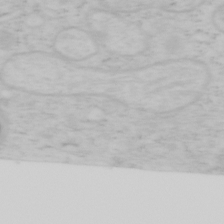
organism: Mouse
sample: OT-I killer T cells with ID8 ovarian cancer cells